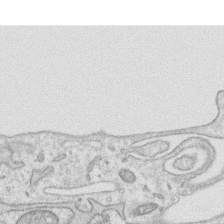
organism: Human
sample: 1205lu cells